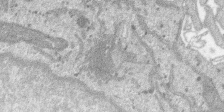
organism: Human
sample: Lung epithelial cells infected with SARS-CoV-2